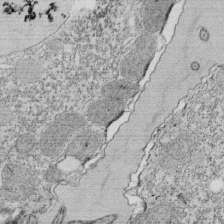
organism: Tetrahymena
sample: Cilia in tetrahymena